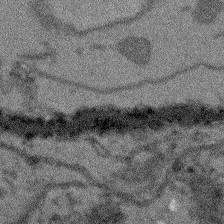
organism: Arabidopsis thaliana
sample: Root tip